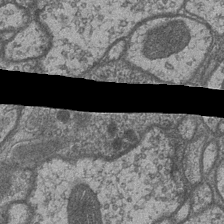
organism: Drosophila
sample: Optic medulla